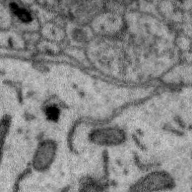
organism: Zebra finch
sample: Brain